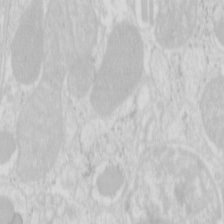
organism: Mouse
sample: Pancreas